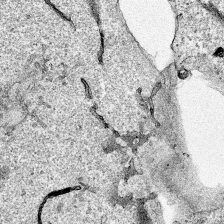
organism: Human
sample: Mitochondria in HCT116 cells